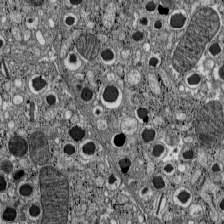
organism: C57BL Mouse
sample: Pancreatic islet